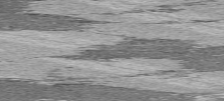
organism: C57BL Mouse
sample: Heart